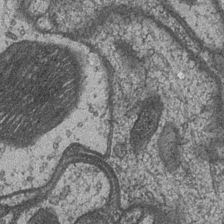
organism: Drosophila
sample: Optic medulla